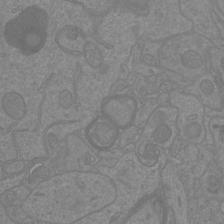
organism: Mouse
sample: Cortical neurons